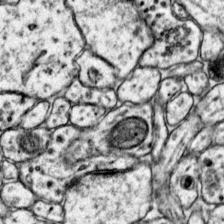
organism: Mouse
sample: Primary visual cortex